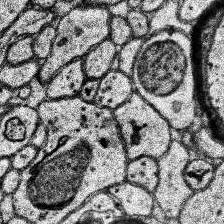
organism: Human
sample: Temporal Lobe